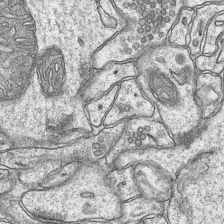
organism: Mouse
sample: CA1 Hippocampus